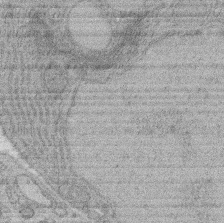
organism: Rat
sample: Salivary granule